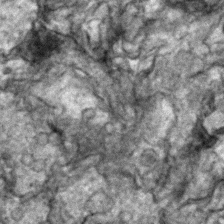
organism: Zebrafish